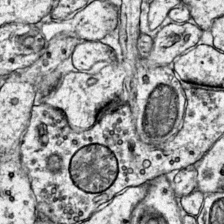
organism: Mouse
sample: Primary visual cortex